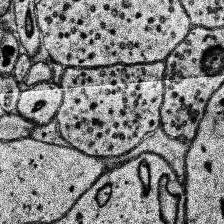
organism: Human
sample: Temporal Lobe